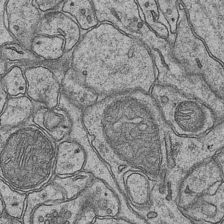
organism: Mouse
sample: CA1 Hippocampus